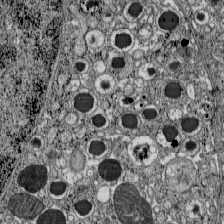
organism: C57BL Mouse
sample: Pancreatic islet